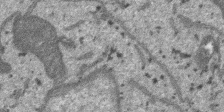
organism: Human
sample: Lung epithelial cells infected with SARS-CoV-2